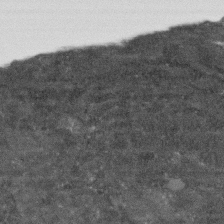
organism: Human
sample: Fibroblast cells